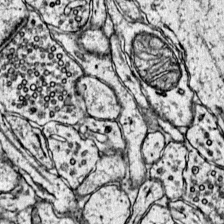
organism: Mouse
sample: Primary visual cortex